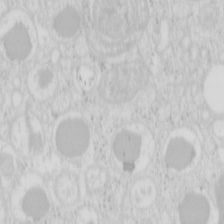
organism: Mouse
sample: Pancreas